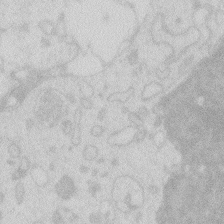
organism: Zebrafish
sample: Macrophage